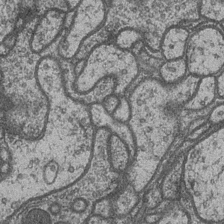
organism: Drosophila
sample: Optic medulla